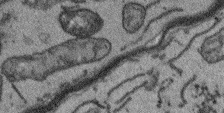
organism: Arabidopsis thaliana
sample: Root tip